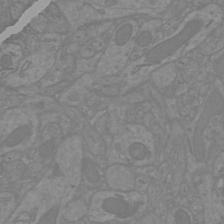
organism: Mouse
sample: Cortical neurons